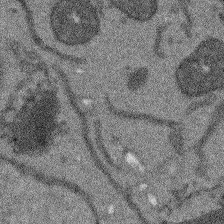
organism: Arabidopsis thaliana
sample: Root tip